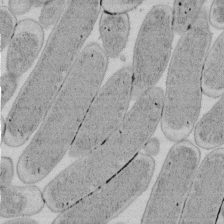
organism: E. coli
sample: Bacterial nucleoid